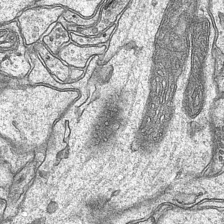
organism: Mouse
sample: CA1 Hippocampus